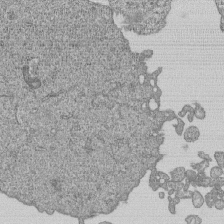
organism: Human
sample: MDA-MB-231 cells